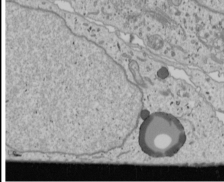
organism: Human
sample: Mitochondria in U2OS cells